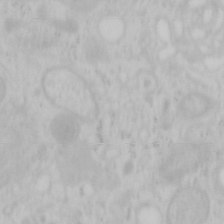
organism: Mouse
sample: OT-I killer T cells with ID8 ovarian cancer cells